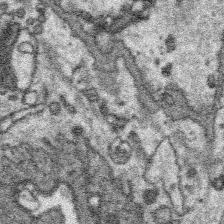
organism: Platynereis dumerilii